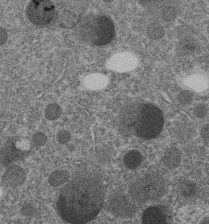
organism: C. elegans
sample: C. elegans embryo early stage